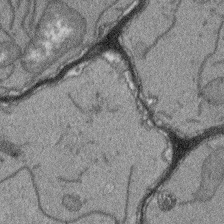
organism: Arabidopsis thaliana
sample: Root tip